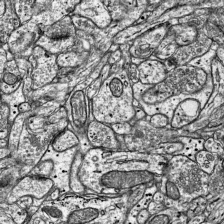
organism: Mouse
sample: Visual Cortex